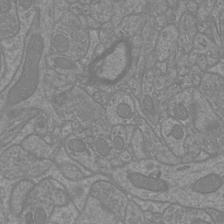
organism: Mouse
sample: Cortical neurons